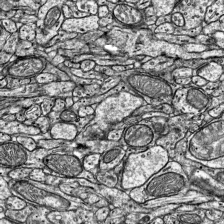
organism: Mouse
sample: Visual Cortex